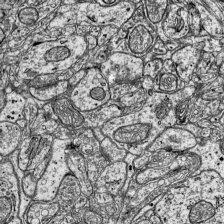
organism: Mouse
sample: Visual Cortex